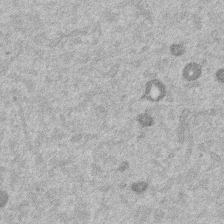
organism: Mouse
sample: Dividing mouse embryo 1 cell stage